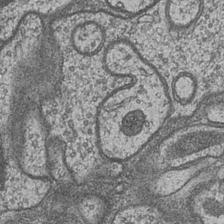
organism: Drosophila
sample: Optic medulla